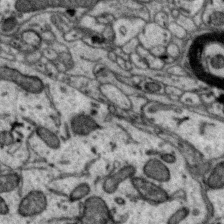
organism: Zebra finch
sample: Brain